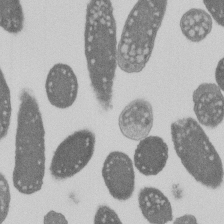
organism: E. coli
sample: Bacterial nucleoid